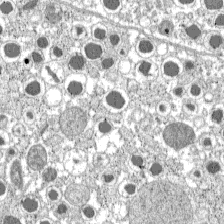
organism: C57BL Mouse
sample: Pancreatic islet